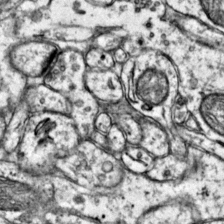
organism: Mouse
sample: Primary visual cortex